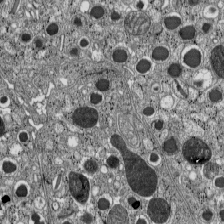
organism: C57BL Mouse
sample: Pancreatic islet